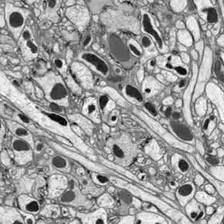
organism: Drosophila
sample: Optic lobe